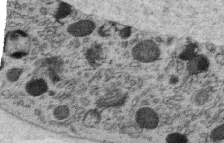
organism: C. elegans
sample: C. elegans oocyte; sperm cells